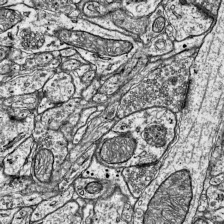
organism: Mouse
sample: Visual Cortex